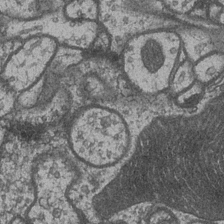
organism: Drosophila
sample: Optic medulla